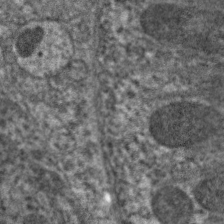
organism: C. elegans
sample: Pharynx